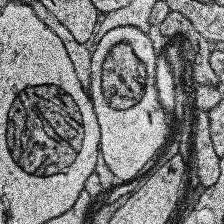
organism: Human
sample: Temporal Lobe